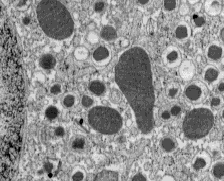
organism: C57BL Mouse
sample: Pancreatic islet